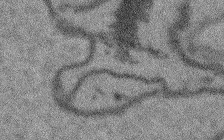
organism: Arabidopsis thaliana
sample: Root tip